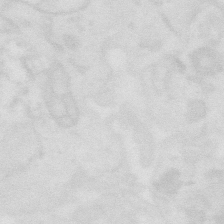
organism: Human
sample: HeLa cells